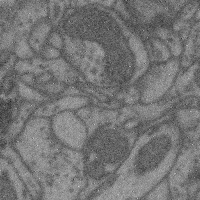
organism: Mouse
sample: Cerebral cortex